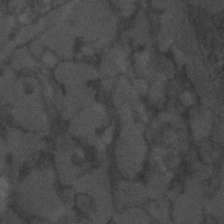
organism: C. elegans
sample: C. elegans embryo